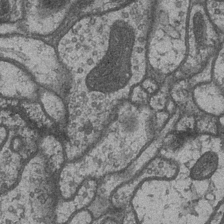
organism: Drosophila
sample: Optic medulla